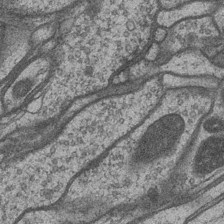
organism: Drosophila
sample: Optic medulla